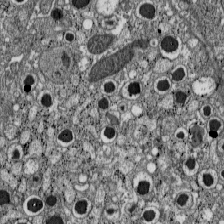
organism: C57BL Mouse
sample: Pancreatic islet